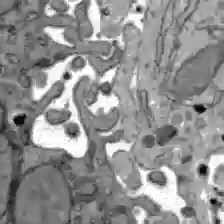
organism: C57BL Mouse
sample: Liver